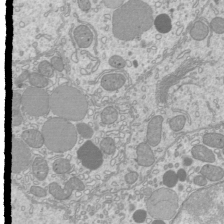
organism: Mouse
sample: Cilia; mouse epididymis